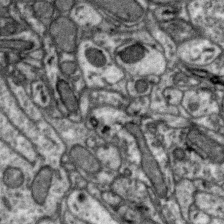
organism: Zebra finch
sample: Brain